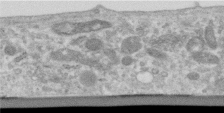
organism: Human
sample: Centriole in RPE cells